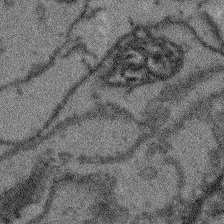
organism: Arabidopsis thaliana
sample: Root tip